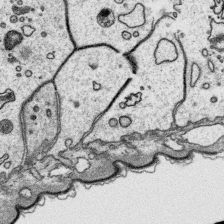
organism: Platynereis dumerilii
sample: Parapodia